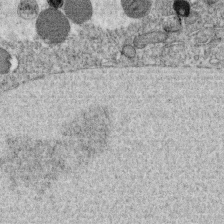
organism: C. elegans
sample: C. elegans oocyte; sperm cells